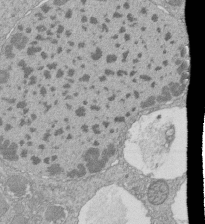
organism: Tetrahymena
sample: Cilia in tetrahymena